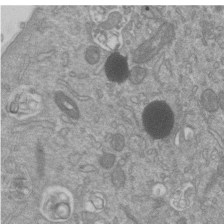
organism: Mouse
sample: ED-1 cell nuclei; centrioles